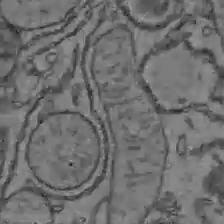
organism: C57BL Mouse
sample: Liver